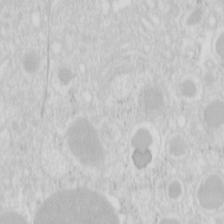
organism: Mouse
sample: Pancreas